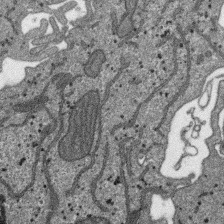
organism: Human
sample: Lung epithelial cells infected with SARS-CoV-2